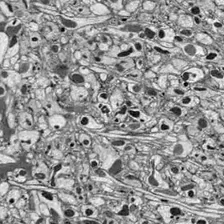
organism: Drosophila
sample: Optic lobe